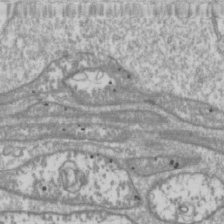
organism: Drosophila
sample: Cell division; meiosis; drosophila spermatocytes